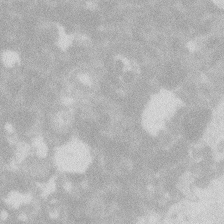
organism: Zebrafish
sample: Macrophage